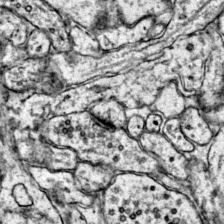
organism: Mouse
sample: Primary visual cortex